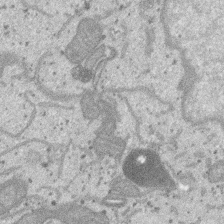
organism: Human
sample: Lung epithelial cells infected with SARS-CoV-2